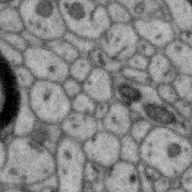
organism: Zebra finch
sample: Brain